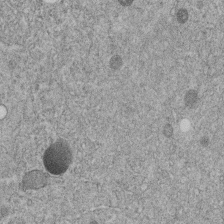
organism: C. elegans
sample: C. elegans embryo early stage